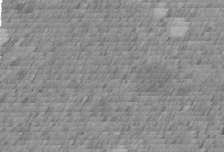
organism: C. elegans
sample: C. elegans embryo early stage